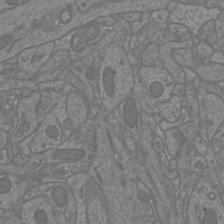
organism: Mouse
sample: Cortical neurons